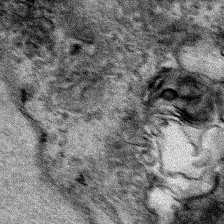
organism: Human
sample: Mitochondria in HCT116 cells